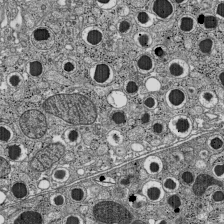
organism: C57BL Mouse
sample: Pancreatic islet